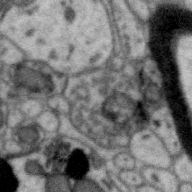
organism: Zebra finch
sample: Brain